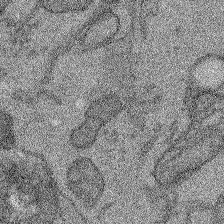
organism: Human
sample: HeLa cells